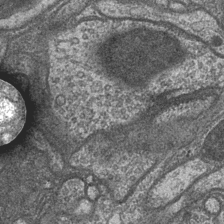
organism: Drosophila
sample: Optic medulla